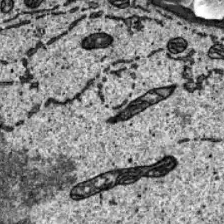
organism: Human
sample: HeLa cells